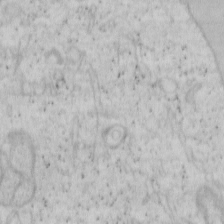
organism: Human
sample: HeLa cells